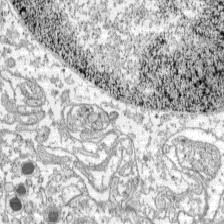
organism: C57BL Mouse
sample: Pancreatic islet